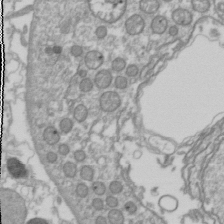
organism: Drosophila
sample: Cell division; meiosis; drosophila spermatocytes